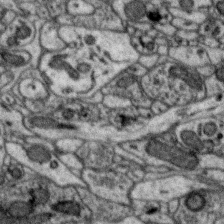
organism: Zebra finch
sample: Brain